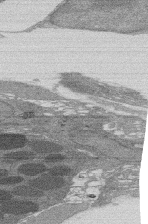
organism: Rat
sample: Salivary granule